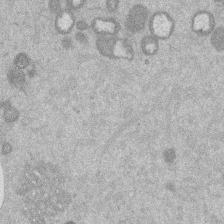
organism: Mouse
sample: Dividing mouse embryo 1 cell stage